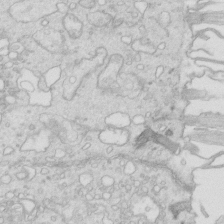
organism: Mouse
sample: Multiciliated cells